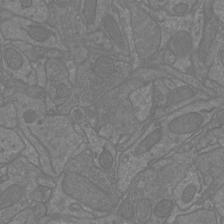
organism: Mouse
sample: Cortical neurons